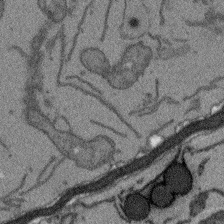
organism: Arabidopsis thaliana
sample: Root tip